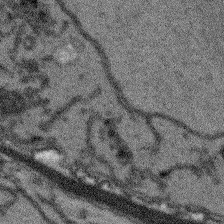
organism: Arabidopsis thaliana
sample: Root tip